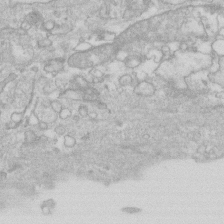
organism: Human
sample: Fibroblast cells